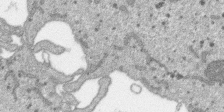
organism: Human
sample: Lung epithelial cells infected with SARS-CoV-2